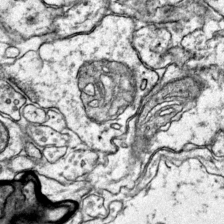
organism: Mouse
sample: Primary visual cortex